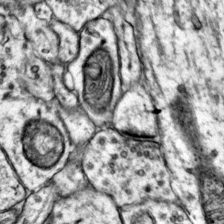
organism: Mouse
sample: Primary visual cortex